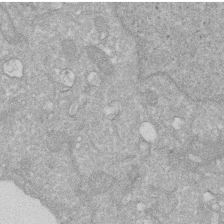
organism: Human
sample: HIV infected U937 cells